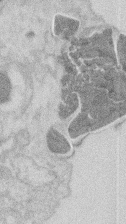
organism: Mouse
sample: T cell stromal cell synapse